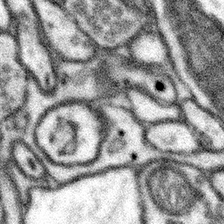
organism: Mouse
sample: Somatosensory cortex neuropil